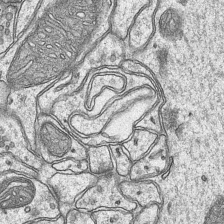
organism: Mouse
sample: CA1 Hippocampus